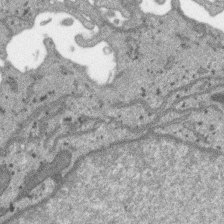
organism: Human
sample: Lung epithelial cells infected with SARS-CoV-2